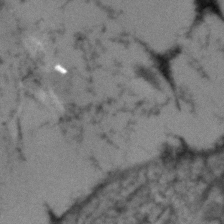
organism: Human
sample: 1205lu cells